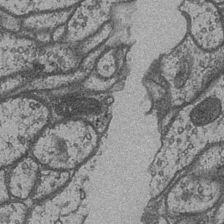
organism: Drosophila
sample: Optic medulla